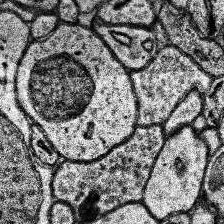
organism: Human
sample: Temporal Lobe